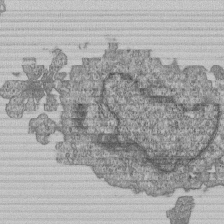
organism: Human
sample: MDA-MB-231 cells